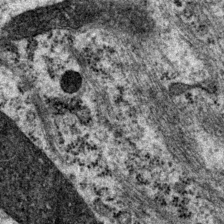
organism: P. pacificus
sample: Pharynx